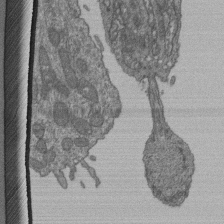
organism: Human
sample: Retinal organoid Rod and Cone cells